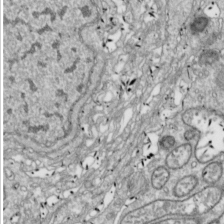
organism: Drosophila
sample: Cell division; meiosis; drosophila spermatocytes